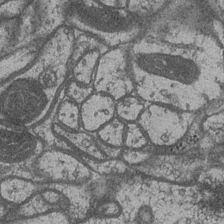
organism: Drosophila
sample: Optic medulla